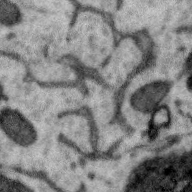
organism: Zebra finch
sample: Brain